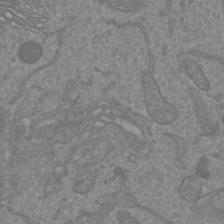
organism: Mouse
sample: Cortical neurons